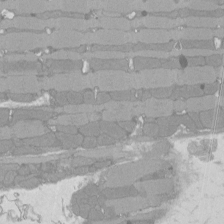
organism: Rat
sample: Left ventricle